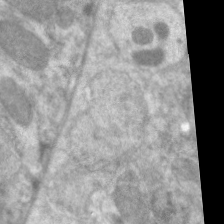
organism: C. elegans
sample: Pharynx